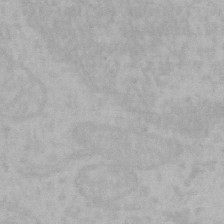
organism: Mouse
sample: Choroid plexus